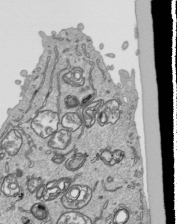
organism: Human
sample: Mitochondria in HCT116 cells